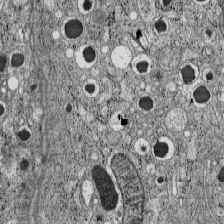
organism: C57BL Mouse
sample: Pancreatic islet